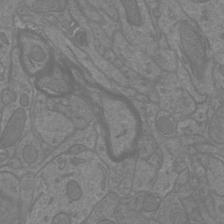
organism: Mouse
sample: Cortical neurons